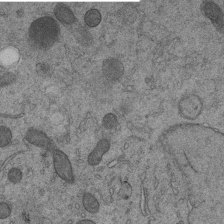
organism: C. elegans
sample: C. elegans embryo early stage